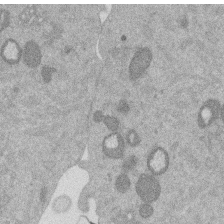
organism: Mouse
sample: Dividing mouse embryo 1 cell stage